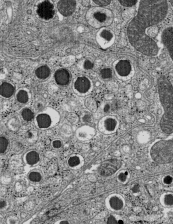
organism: C57BL Mouse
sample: Pancreatic islet